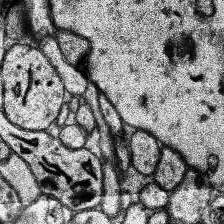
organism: Human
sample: Temporal Lobe